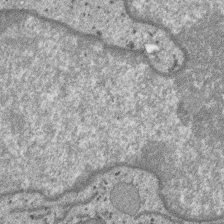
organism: Human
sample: Lung epithelial cells infected with SARS-CoV-2